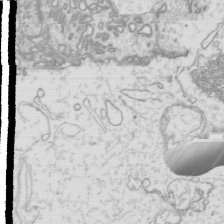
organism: Mouse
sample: Cilia; mouse epididymis